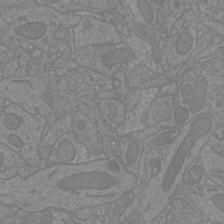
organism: Mouse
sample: Cortical neurons